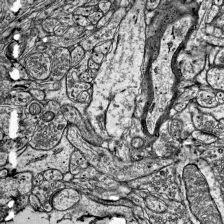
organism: Mouse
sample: Visual Cortex